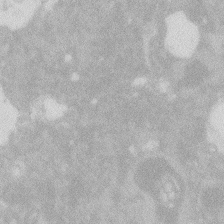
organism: Zebrafish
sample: Macrophage